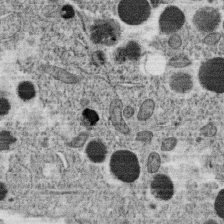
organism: C. elegans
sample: C. elegans oocyte; sperm cells